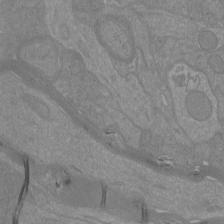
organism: Mouse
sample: Cortical neurons